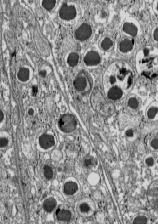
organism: C57BL Mouse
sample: Pancreatic islet